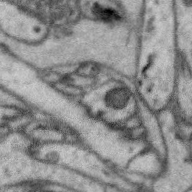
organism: Zebra finch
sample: Brain